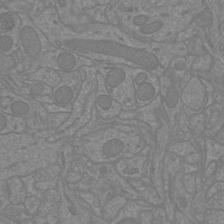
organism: Mouse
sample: Cortical neurons